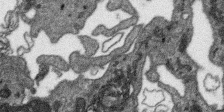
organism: Human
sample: Lung epithelial cells infected with SARS-CoV-2